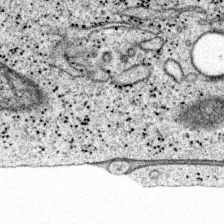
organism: Human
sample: HeLa cells